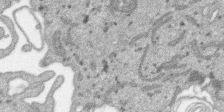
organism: Human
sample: Lung epithelial cells infected with SARS-CoV-2